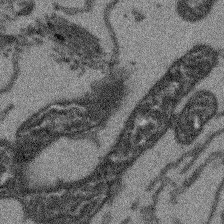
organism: Arabidopsis thaliana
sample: Root tip